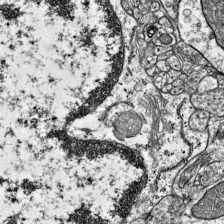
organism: Mouse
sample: Visual Cortex